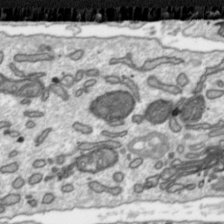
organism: Toxoplasma gondii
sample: Parasites in a vacuole inside a host cell